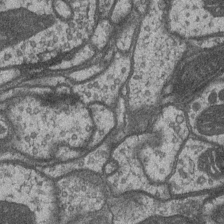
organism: Drosophila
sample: Optic medulla